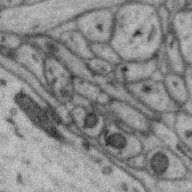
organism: Zebra finch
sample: Brain